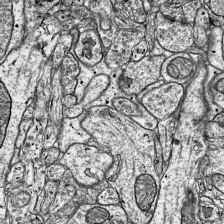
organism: Mouse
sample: Visual Cortex